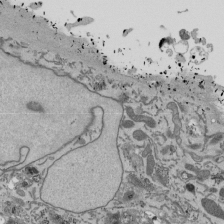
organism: Mouse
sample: ED-1 cell nuclei; centrioles